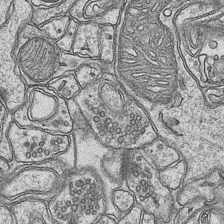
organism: Mouse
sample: CA1 Hippocampus